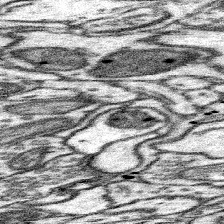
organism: Mouse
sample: Somatosensory cortex neuropil